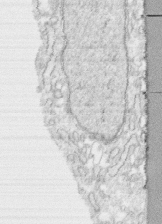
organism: Human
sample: CRL-1474